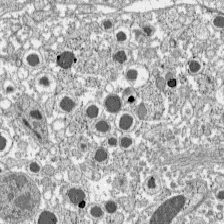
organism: C57BL Mouse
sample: Pancreatic islet